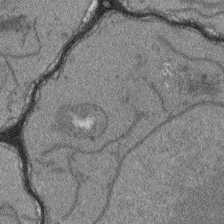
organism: Arabidopsis thaliana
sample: Root tip